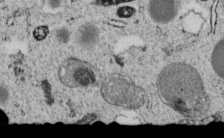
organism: C. elegans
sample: C. elegans embryo early stage